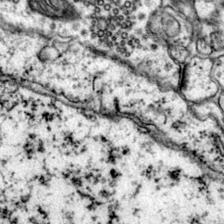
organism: Mouse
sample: Primary visual cortex